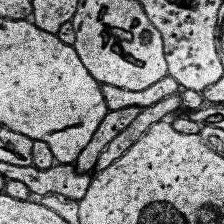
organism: Human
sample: Temporal Lobe